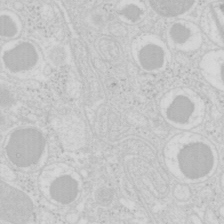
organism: Mouse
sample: Pancreas